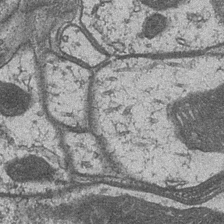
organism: Drosophila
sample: Optic medulla